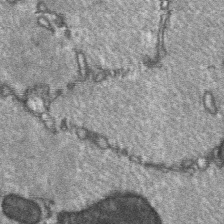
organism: C57BL Mouse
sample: Soleus